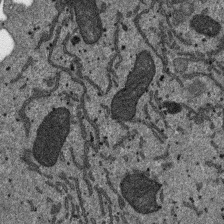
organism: Human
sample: Lung epithelial cells infected with SARS-CoV-2